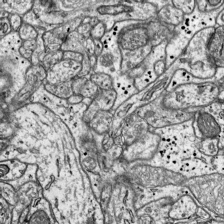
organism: Mouse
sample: Visual Cortex